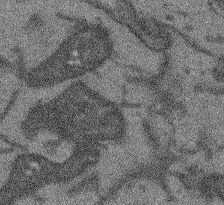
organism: Arabidopsis thaliana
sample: Root tip